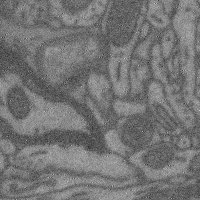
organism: Mouse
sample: Cerebral cortex